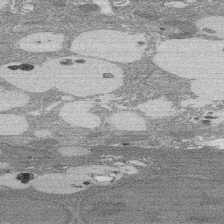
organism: Rat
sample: Salivary granule